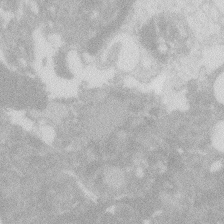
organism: Zebrafish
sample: Macrophage